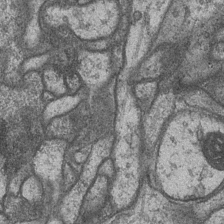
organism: Drosophila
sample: Optic medulla